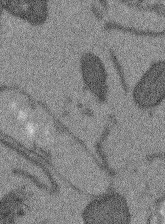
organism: Arabidopsis thaliana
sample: Root tip